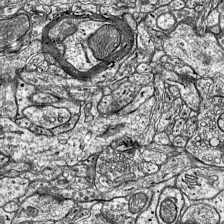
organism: Mouse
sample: Visual Cortex